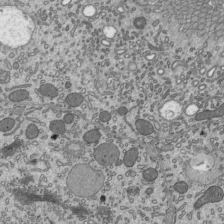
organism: Mouse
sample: Mouse epididymis efferent ductule cilia